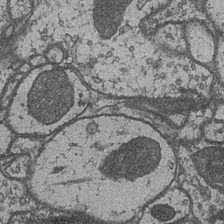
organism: Drosophila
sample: Optic medulla